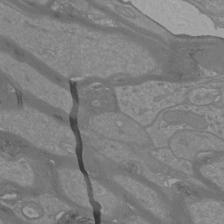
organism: Mouse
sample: Cortical neurons